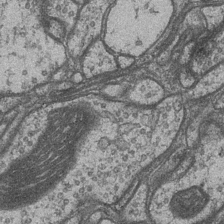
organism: Drosophila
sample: Optic medulla